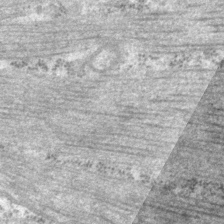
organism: P. pacificus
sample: Pharynx